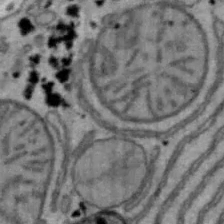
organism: Mouse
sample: Liver